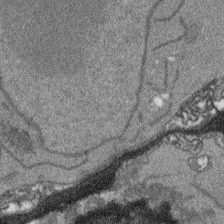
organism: Arabidopsis thaliana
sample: Root tip